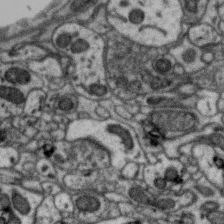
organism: Zebra finch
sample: Brain